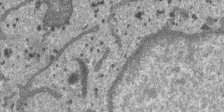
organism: Human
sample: Lung epithelial cells infected with SARS-CoV-2